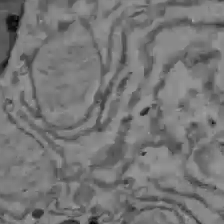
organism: C57BL Mouse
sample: Liver